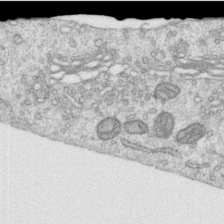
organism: Human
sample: Centriole in RPE cells